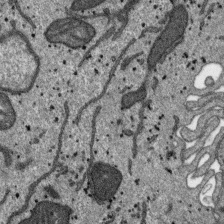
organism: Human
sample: Lung epithelial cells, uninfected (mock) control